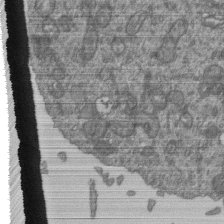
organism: Human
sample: Retinal organoid Rod and Cone cells